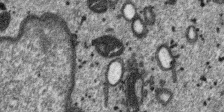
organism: Human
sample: Lung epithelial cells infected with SARS-CoV-2